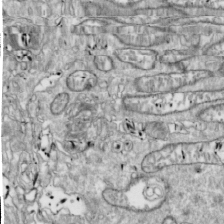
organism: Drosophila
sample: Cell division; meiosis; drosophila spermatocytes